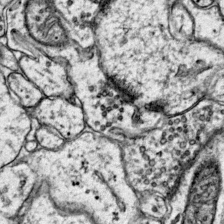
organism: Mouse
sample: Primary visual cortex